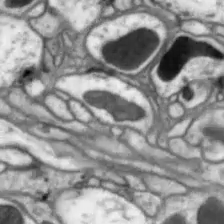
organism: Drosophila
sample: Optic lobe